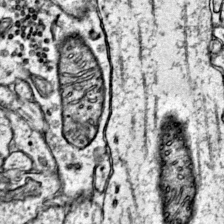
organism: Mouse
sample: Primary visual cortex